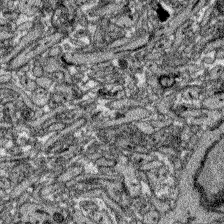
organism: Zebrafish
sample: Larval olfactory bulb